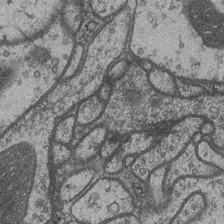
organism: Drosophila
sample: Optic medulla